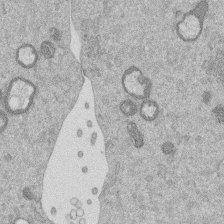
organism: Mouse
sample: Dividing mouse embryo 1 cell stage